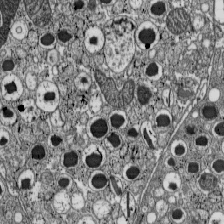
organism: C57BL Mouse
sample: Pancreatic islet